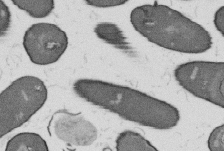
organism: B. subtilis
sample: Bacterial spore